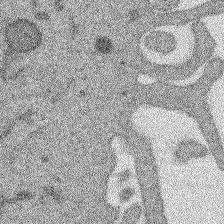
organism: Human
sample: HeLa cells